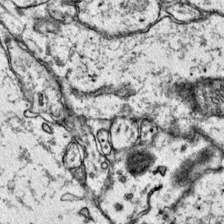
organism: Mouse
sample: Primary visual cortex